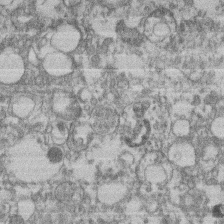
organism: Mouse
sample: T cell stromal cell synapse